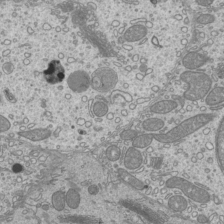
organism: Mouse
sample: Cilia; mouse epididymis